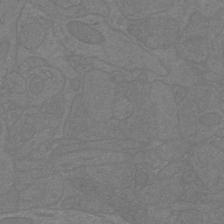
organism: Mouse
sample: Cortical neurons